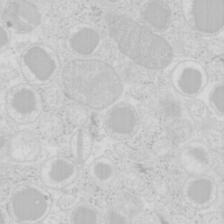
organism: Mouse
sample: Pancreas